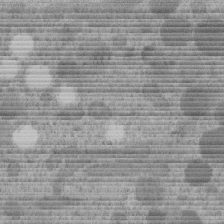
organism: C. elegans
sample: C. elegans embryo early stage